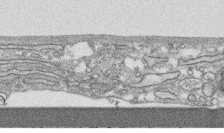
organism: Human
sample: CRL-1474